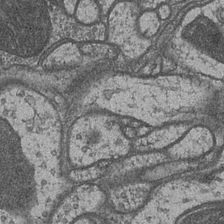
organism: Drosophila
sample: Optic medulla